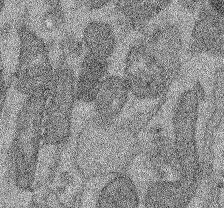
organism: Human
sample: HeLa cells